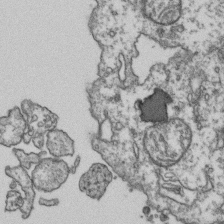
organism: Human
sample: Activated Jurkat CD4+ T cells